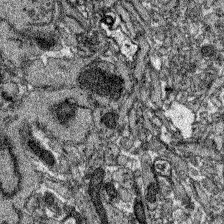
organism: Zebrafish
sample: Larval olfactory bulb